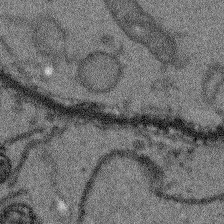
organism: Arabidopsis thaliana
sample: Root tip